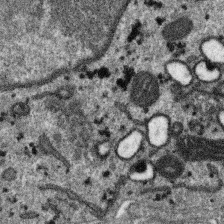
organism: Human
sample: Lung epithelial cells infected with SARS-CoV-2